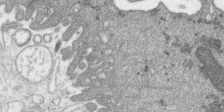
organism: Human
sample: Lung epithelial cells infected with SARS-CoV-2